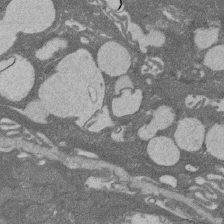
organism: Rat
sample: Salivary granule